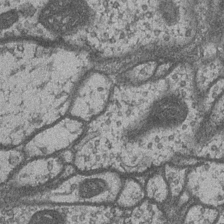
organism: Drosophila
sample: Optic medulla